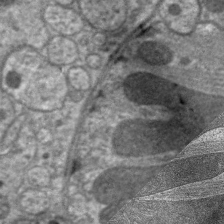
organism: C. elegans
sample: Pharynx